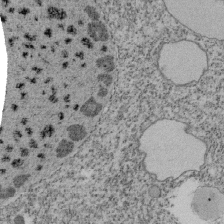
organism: Tetrahymena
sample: Cilia in tetrahymena